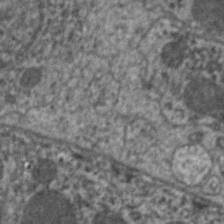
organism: C. elegans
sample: Pharynx